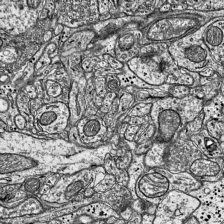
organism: Mouse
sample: Visual Cortex